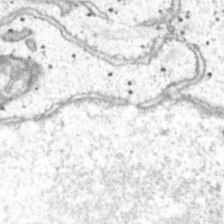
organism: Human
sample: HeLa cells